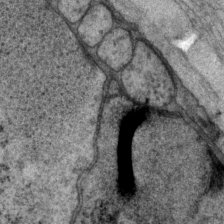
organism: P. pacificus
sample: Pharynx